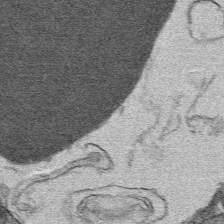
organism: Mouse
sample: Mouse hepatocytes